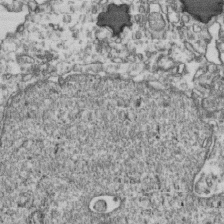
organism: Human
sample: Activated Jurkat CD4+ T cells